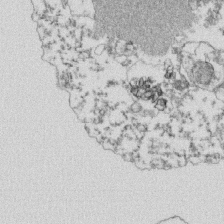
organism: Human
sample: HeLa cell HIV synapse